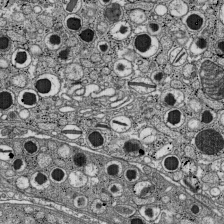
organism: C57BL Mouse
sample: Pancreatic islet